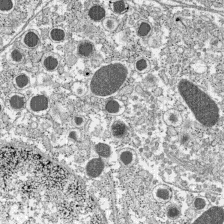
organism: C57BL Mouse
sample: Pancreatic islet